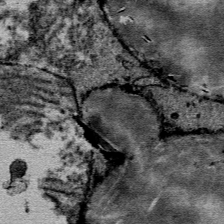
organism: Mouse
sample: Mouse Salivary gland